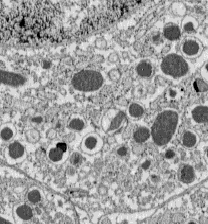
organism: C57BL Mouse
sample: Pancreatic islet